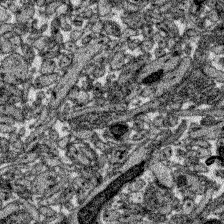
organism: Zebrafish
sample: Larval olfactory bulb